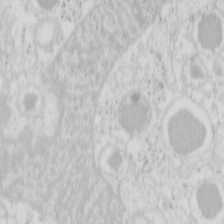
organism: Mouse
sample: Pancreas